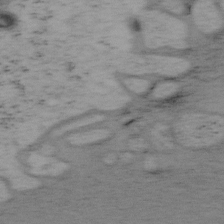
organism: Mouse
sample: OT-I killer T cells with ID8 ovarian cancer cells